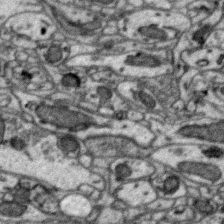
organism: Zebra finch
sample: Brain